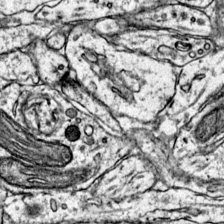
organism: Mouse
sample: Primary visual cortex